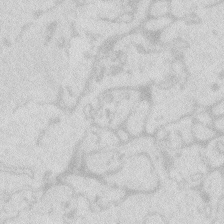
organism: Zebrafish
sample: Macrophage